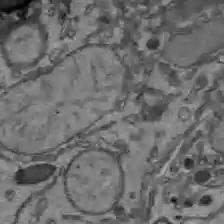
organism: C57BL Mouse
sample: Liver